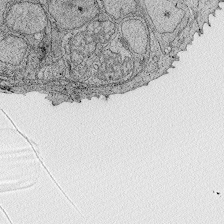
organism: Zebrafish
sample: Whole-Brain